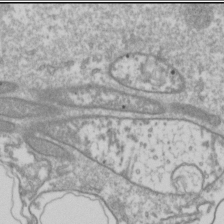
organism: Drosophila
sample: Cell division; meiosis; drosophila spermatocytes